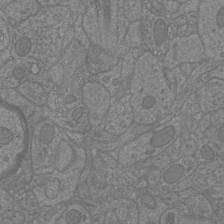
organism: Mouse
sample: Cortical neurons